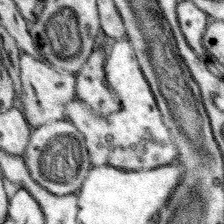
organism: Mouse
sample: Somatosensory cortex neuropil